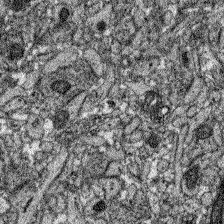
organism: Zebrafish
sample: Larval olfactory bulb